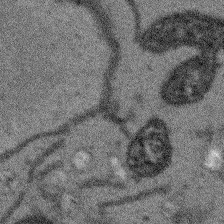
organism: Arabidopsis thaliana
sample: Root tip